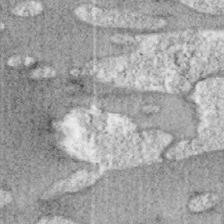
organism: Mouse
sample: OT-I killer T cells with ID8 ovarian cancer cells